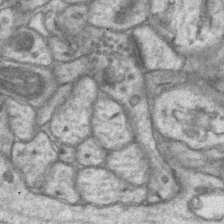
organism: Mouse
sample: CA1 Hippocampus